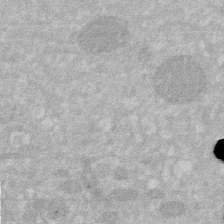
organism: Human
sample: HIV infected U937 cells